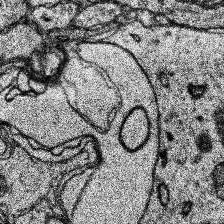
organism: Human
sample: Temporal Lobe